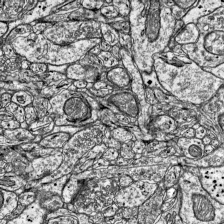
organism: Mouse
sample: Visual Cortex